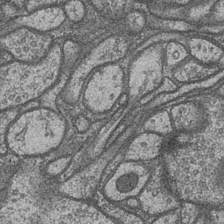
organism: Drosophila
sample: Optic medulla